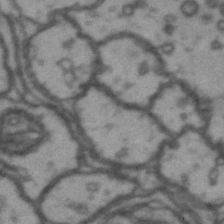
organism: Drosophila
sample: Brain